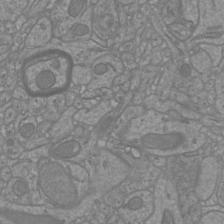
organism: Mouse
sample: Cortical neurons